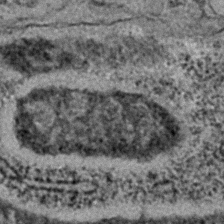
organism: C. elegans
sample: C. elegans embryo